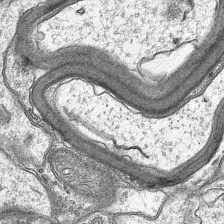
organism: Mouse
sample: CA1 Hippocampus